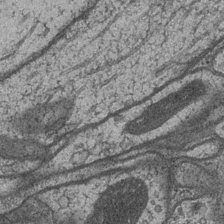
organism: Drosophila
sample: Optic medulla